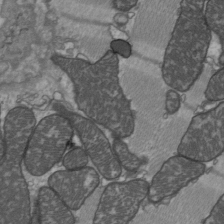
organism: C57BL Mouse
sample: Heart